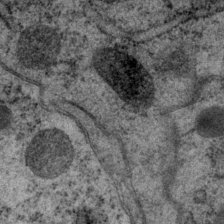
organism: P. pacificus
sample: Pharynx